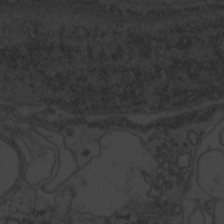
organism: Zebrafish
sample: Macrophage infected with Toxoplasma gondii